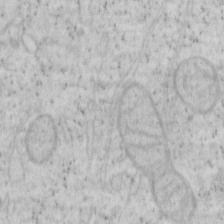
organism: Human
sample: HeLa cells